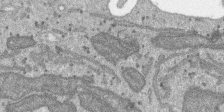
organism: Human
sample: Lung epithelial cells infected with SARS-CoV-2